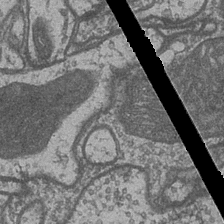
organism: Drosophila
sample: Optic medulla